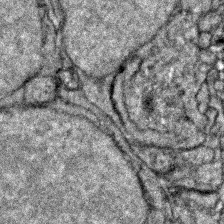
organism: Zebrafish